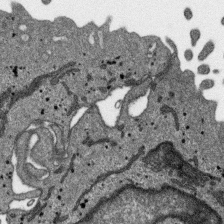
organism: Human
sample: Lung epithelial cells, uninfected (mock) control